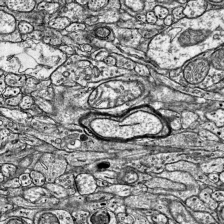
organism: Mouse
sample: Visual Cortex